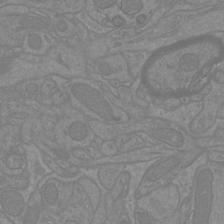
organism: Mouse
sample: Cortical neurons